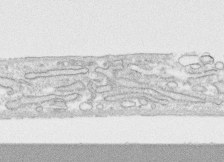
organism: Human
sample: CRL-1474